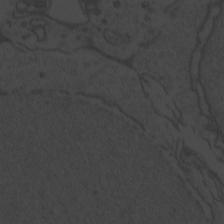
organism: Zebrafish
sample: Macrophage infected with Toxoplasma gondii